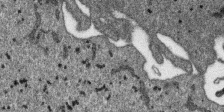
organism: Human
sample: Lung epithelial cells infected with SARS-CoV-2